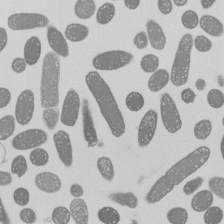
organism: E. coli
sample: Bacterial nucleoid